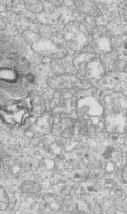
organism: Human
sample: HeLa cell HIV synapse